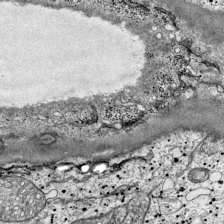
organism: Mouse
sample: Visual Cortex